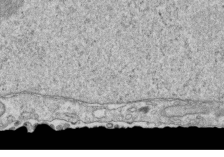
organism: Human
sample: HeLa cell HIV synapse